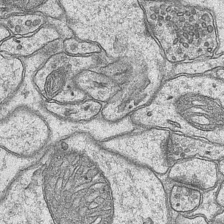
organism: Mouse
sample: CA1 Hippocampus